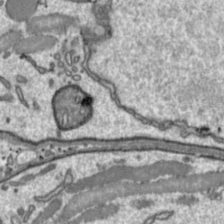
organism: Toxoplasma gondii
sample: Parasites in a vacuole inside a host cell